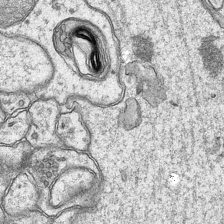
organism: Mouse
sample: CA1 Hippocampus